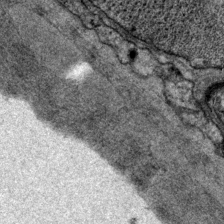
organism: P. pacificus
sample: Pharynx